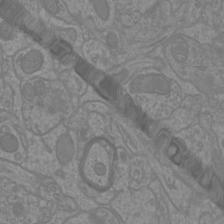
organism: Mouse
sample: Cortical neurons